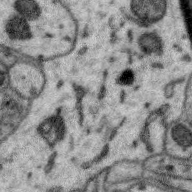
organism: Zebra finch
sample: Brain